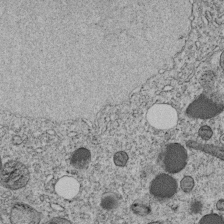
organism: C. elegans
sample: C. elegans embryo early stage